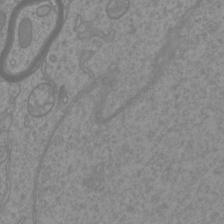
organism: Mouse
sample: Cortical neurons